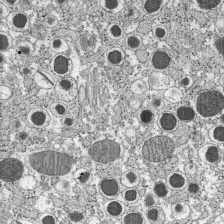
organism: C57BL Mouse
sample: Pancreatic islet